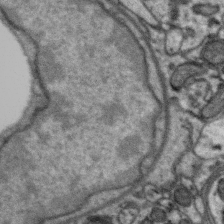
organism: Zebra finch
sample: Brain